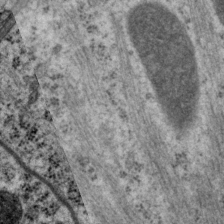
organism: P. pacificus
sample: Pharynx